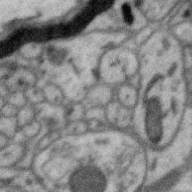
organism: Zebra finch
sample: Brain